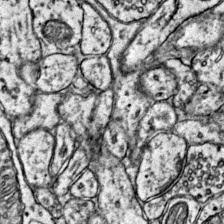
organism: Mouse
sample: Primary visual cortex